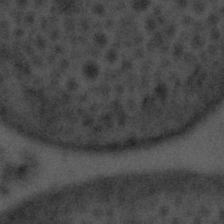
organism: Tuwongella immobilis